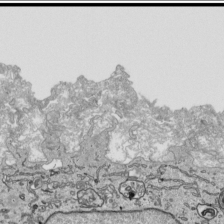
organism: Human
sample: Mitochondria in HCT116 cells